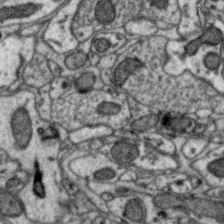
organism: Zebra finch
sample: Brain